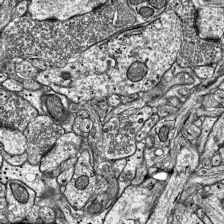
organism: Mouse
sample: Visual Cortex